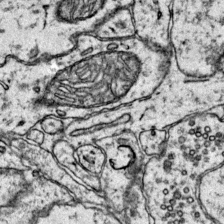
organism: Mouse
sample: Primary visual cortex